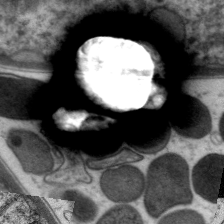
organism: C. elegans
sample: Pharynx